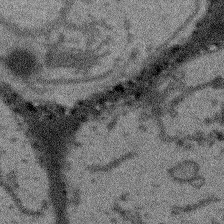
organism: Arabidopsis thaliana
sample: Root tip